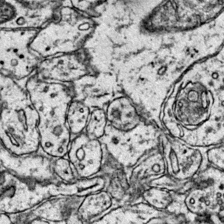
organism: Mouse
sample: Primary visual cortex